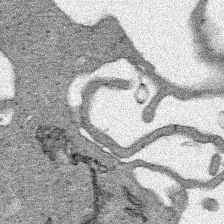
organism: Human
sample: Mitochondria in HCT116 cells